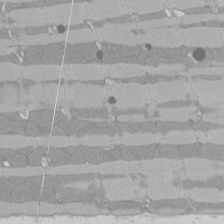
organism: Rat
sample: Left ventricle